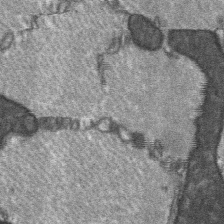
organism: C57BL Mouse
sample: Soleus